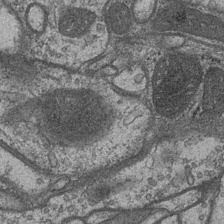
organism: Drosophila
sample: Optic medulla